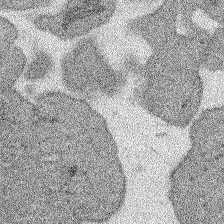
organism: Human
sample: HeLa cells